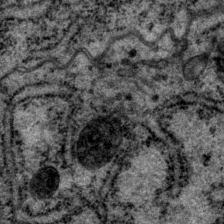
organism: P. pacificus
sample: Pharynx